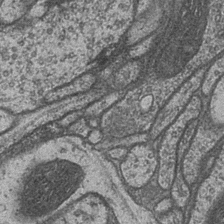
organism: Drosophila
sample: Optic medulla